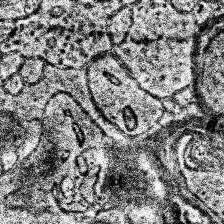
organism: Human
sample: Temporal Lobe